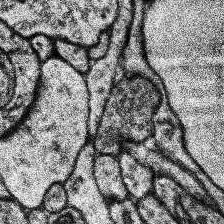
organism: Human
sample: Temporal Lobe